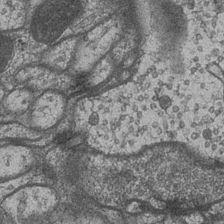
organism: Drosophila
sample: Optic medulla